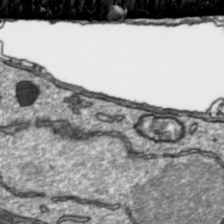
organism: Toxoplasma gondii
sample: Parasites in a vacuole inside a host cell